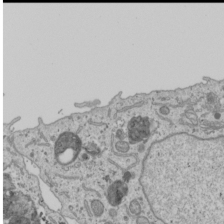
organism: Human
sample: Mitochondria in U2OS cells